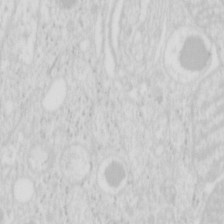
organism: Mouse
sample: Pancreas